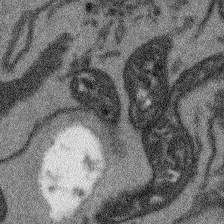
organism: Arabidopsis thaliana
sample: Root tip